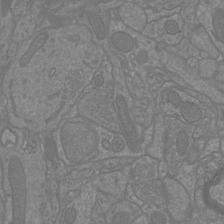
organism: Mouse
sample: Cortical neurons